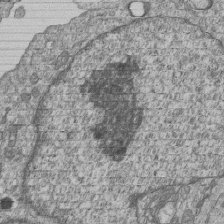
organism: Human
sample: MDA-MB-231 cells